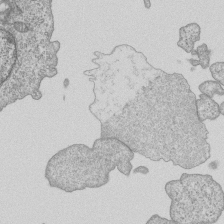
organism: Human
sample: MDA-MB-231 cells